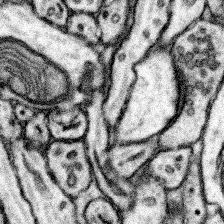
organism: Mouse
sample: Somatosensory cortex neuropil